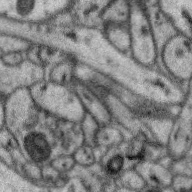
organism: Zebra finch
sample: Brain